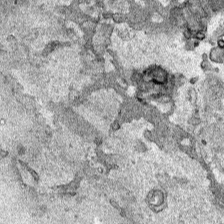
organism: Human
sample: Mitochondria in HCT116 cells